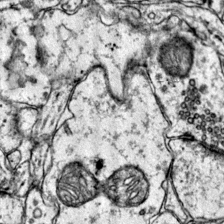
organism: Mouse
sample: Primary visual cortex